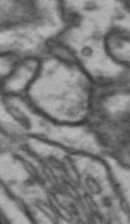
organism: Drosophila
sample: Brain